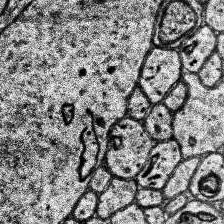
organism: Human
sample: Temporal Lobe